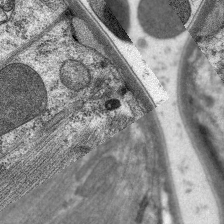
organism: C. elegans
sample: Pharynx